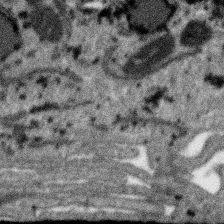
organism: Human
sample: Lung epithelial cells infected with SARS-CoV-2